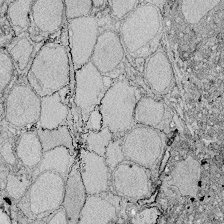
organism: Zebrafish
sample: Whole-Brain